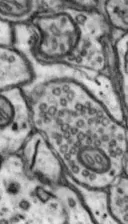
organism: Mouse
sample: Nucleus accumbens